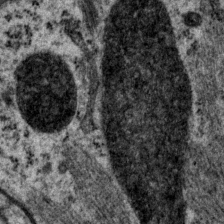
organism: P. pacificus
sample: Pharynx